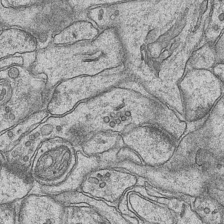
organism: Mouse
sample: CA1 Hippocampus